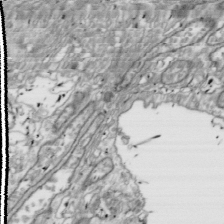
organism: Drosophila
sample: Cell division; meiosis; drosophila spermatocytes